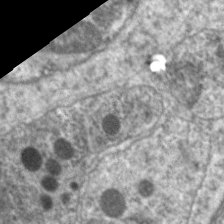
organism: C. elegans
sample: Pharynx